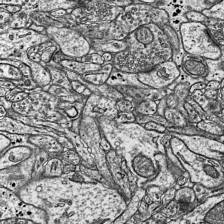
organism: Mouse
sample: Visual Cortex